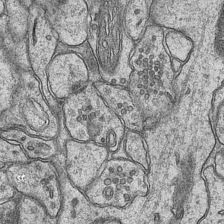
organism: Mouse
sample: CA1 Hippocampus